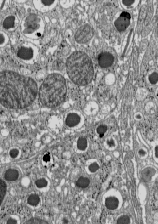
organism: C57BL Mouse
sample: Pancreatic islet